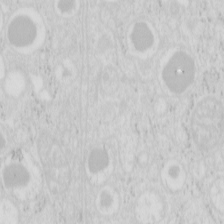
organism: Mouse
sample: Pancreas